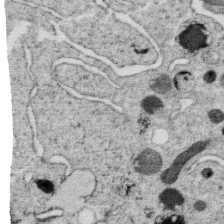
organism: C. elegans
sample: C. elegans oocyte; sperm cells